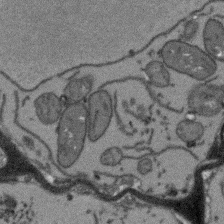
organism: Arabidopsis thaliana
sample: Root tip